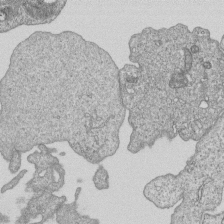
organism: Human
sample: MDA-MB-231 cells